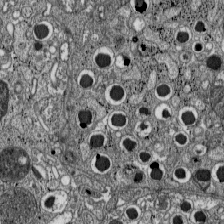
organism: C57BL Mouse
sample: Pancreatic islet